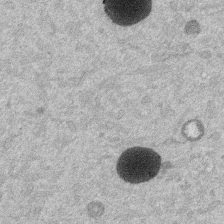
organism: Mouse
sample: Dividing mouse embryo 1 cell stage